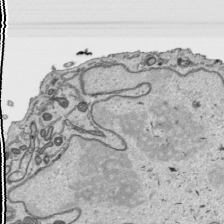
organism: Human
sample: Mitochondria in HCT116 cells